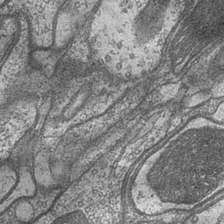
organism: Drosophila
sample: Optic medulla